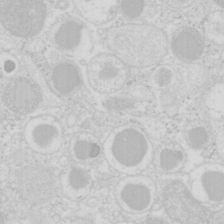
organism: Mouse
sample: Pancreas